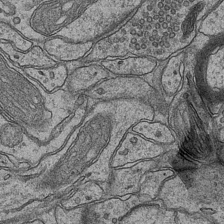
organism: Mouse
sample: CA1 Hippocampus